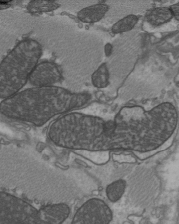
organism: C57BL Mouse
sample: Heart